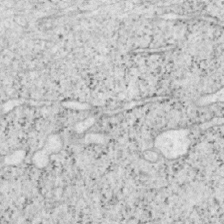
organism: Mouse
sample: OT-I killer T cells with ID8 ovarian cancer cells